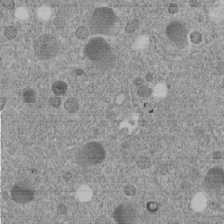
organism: C. elegans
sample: C. elegans embryo early stage